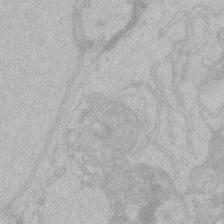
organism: Zebrafish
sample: Macrophage infected with Toxoplasma gondii